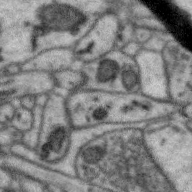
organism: Zebra finch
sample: Brain